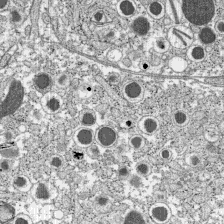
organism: C57BL Mouse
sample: Pancreatic islet